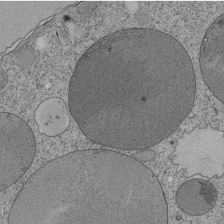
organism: Tetrahymena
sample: Cilia in tetrahymena